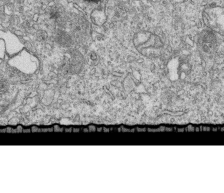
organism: Human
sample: HeLa cell HIV synapse